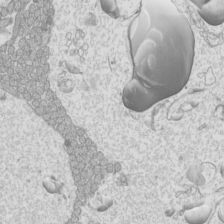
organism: Mouse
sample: Cilia; mouse epididymis